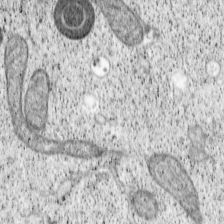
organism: African green monkey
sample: COS-7 cells